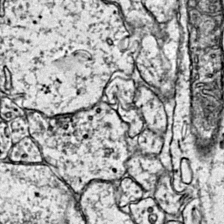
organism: Mouse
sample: Primary visual cortex